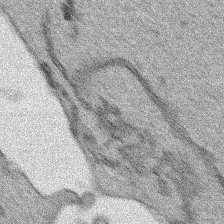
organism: Human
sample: Mitochondria in HCT116 cells